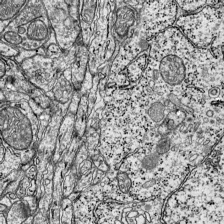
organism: Mouse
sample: Visual Cortex